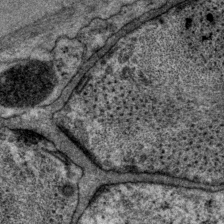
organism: P. pacificus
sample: Pharynx